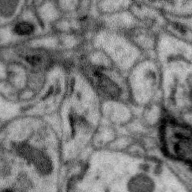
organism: Zebra finch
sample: Brain